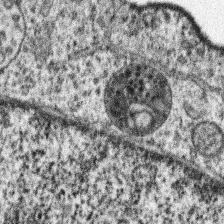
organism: Human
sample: HeLa cells